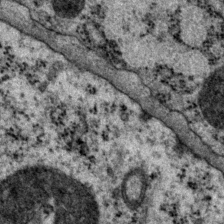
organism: P. pacificus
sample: Pharynx